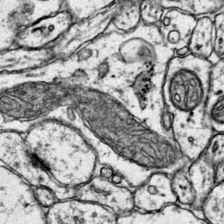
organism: Mouse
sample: Primary visual cortex